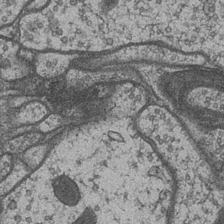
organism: Drosophila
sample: Optic medulla